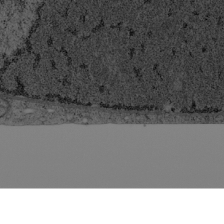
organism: African green monkey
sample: COS-7 cells